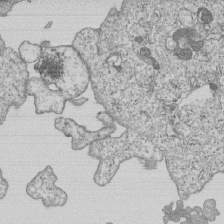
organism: Human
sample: MDA-MB-231 cells